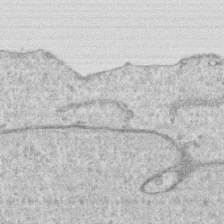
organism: Human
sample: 1205lu cells